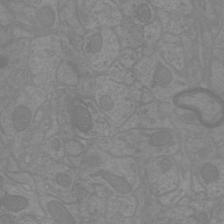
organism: Mouse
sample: Cortical neurons